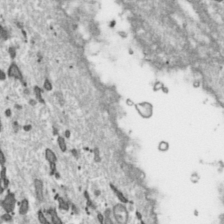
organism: Toxoplasma gondii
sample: Parasites in a vacuole inside a host cell